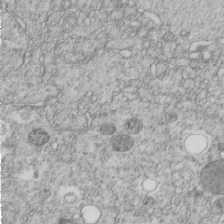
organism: C. elegans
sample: C. elegans embryo early stage